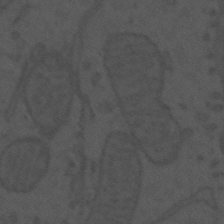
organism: Mouse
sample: Suprachiasmatic nucleus